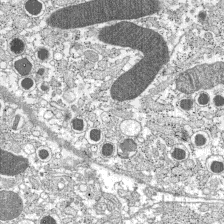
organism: C57BL Mouse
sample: Pancreatic islet